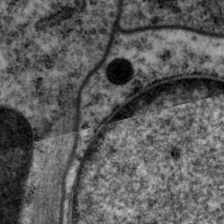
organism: P. pacificus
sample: Pharynx